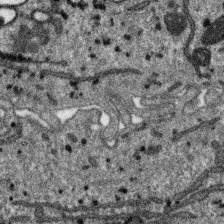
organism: Human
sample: Lung epithelial cells infected with SARS-CoV-2